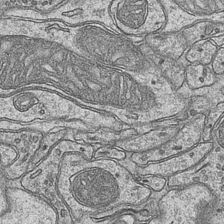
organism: Mouse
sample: CA1 Hippocampus